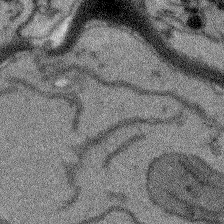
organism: Arabidopsis thaliana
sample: Root tip